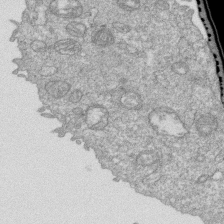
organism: Human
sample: HeLa cell HIV synapse